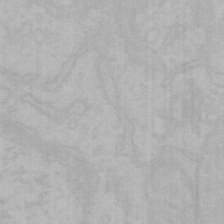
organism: Mouse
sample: Choroid plexus